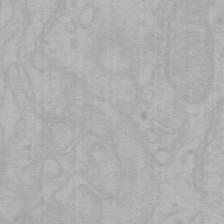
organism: Mouse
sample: Choroid plexus